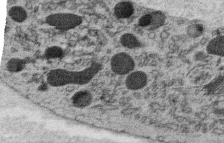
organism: C. elegans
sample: C. elegans oocyte; sperm cells